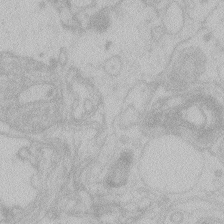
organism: Zebrafish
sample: Macrophage infected with Toxoplasma gondii